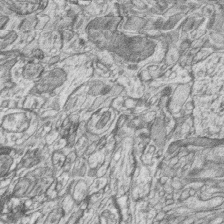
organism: Zebrafish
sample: synaptic ribbons in rod cells and cone cells